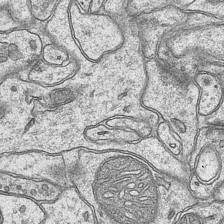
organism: Mouse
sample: CA1 Hippocampus